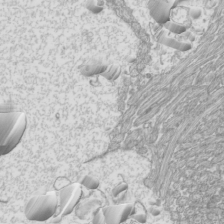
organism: Mouse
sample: Cilia; mouse epididymis